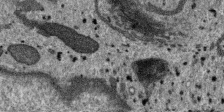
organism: Human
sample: Lung epithelial cells, uninfected (mock) control